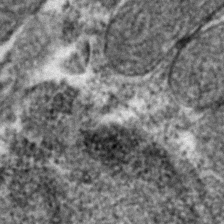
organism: Zebrafish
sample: Zebrafish embryo